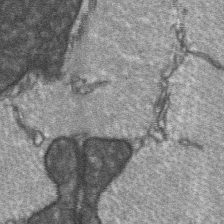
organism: C57BL Mouse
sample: Soleus